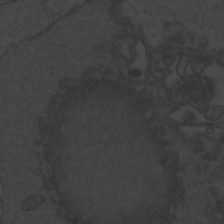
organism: Zebrafish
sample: Macrophage infected with Toxoplasma gondii